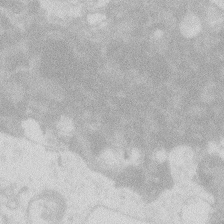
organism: Zebrafish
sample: Macrophage